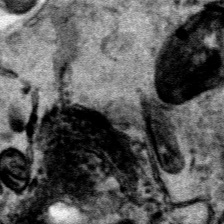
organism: Human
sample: Mitochondria in HCT116 cells